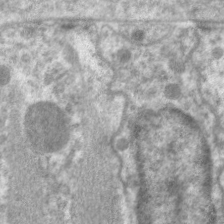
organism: C. elegans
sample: Pharynx